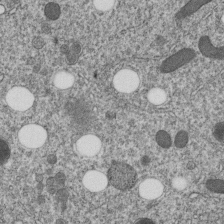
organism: C. elegans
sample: C. elegans embryo early stage